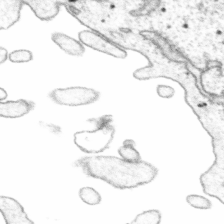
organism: Human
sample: HeLa cells